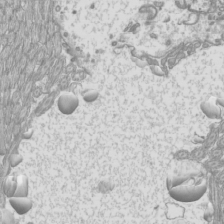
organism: Mouse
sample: Cilia; mouse epididymis